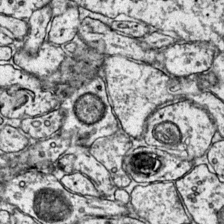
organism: Mouse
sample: Primary visual cortex